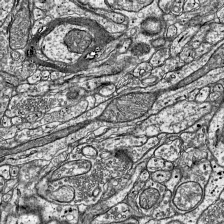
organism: Mouse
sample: Visual Cortex